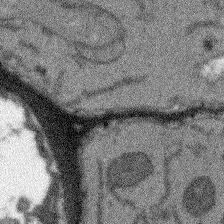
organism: Arabidopsis thaliana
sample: Root tip